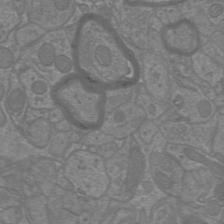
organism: Mouse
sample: Cortical neurons